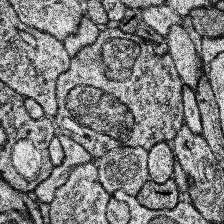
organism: Human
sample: Temporal Lobe